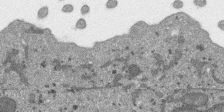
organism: Human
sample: Lung epithelial cells infected with SARS-CoV-2